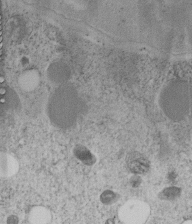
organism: C. elegans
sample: C. elegans embryo early stage